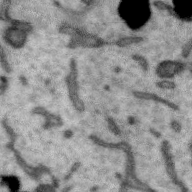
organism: Zebra finch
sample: Brain